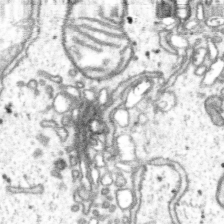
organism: Human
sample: HeLa cells